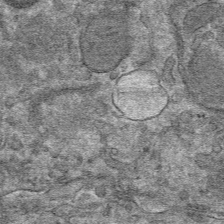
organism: Mouse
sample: Mouse hepatocytes